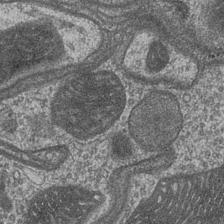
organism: Drosophila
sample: Optic medulla